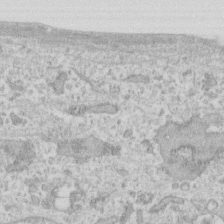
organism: Human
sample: Fibroblast cells